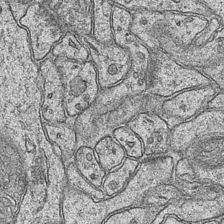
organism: Mouse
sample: CA1 Hippocampus